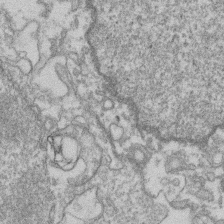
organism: Mouse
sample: T cell stromal cell synapse